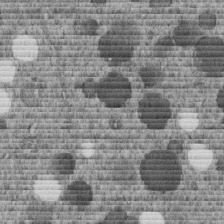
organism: C. elegans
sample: C. elegans embryo early stage